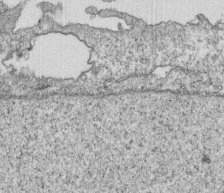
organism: Human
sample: HeLa cell HIV synapse